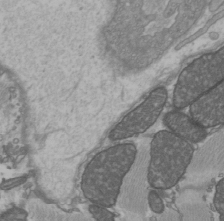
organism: C57BL Mouse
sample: Heart